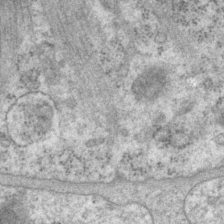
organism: P. pacificus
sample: Pharynx